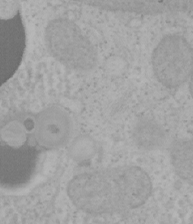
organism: Mouse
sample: OT-I killer T cells with ID8 ovarian cancer cells